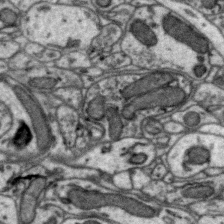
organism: Zebra finch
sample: Brain